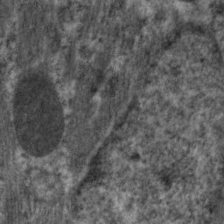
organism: C. elegans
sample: Pharynx